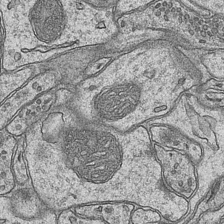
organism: Mouse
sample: CA1 Hippocampus